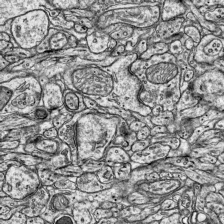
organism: Mouse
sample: Visual Cortex